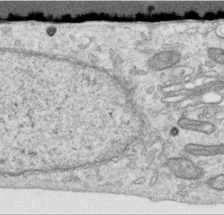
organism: Human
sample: Centriole in RPE cells